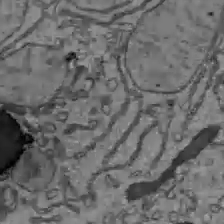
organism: C57BL Mouse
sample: Liver